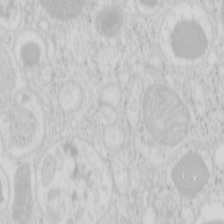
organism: Mouse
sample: Pancreas